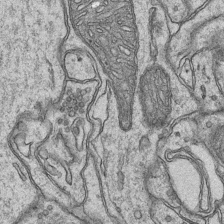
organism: Mouse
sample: CA1 Hippocampus